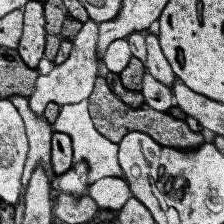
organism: Human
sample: Temporal Lobe